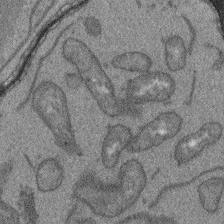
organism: Arabidopsis thaliana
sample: Root tip